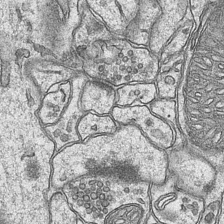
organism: Mouse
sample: CA1 Hippocampus